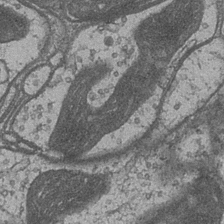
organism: Drosophila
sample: Optic medulla